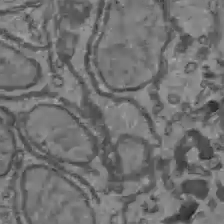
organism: C57BL Mouse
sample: Liver